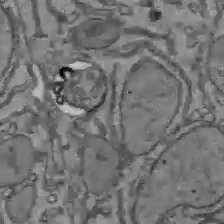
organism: C57BL Mouse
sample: Liver